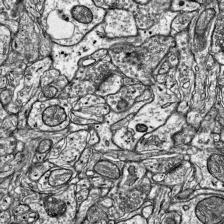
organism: Mouse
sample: Visual Cortex